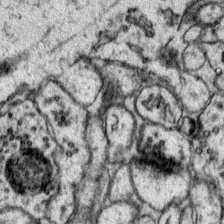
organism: Mouse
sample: Primary visual cortex